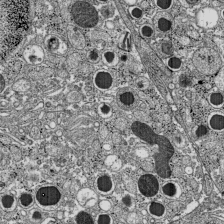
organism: C57BL Mouse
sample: Pancreatic islet